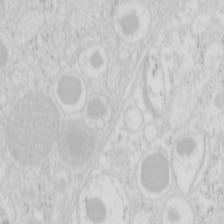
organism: Mouse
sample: Pancreas